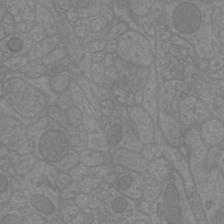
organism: Mouse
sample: Cortical neurons